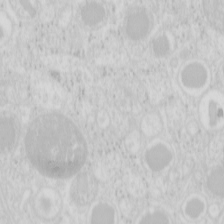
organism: Mouse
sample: Pancreas